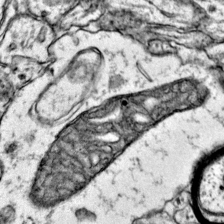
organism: Mouse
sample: Primary visual cortex